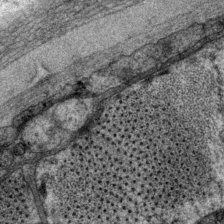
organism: P. pacificus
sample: Pharynx